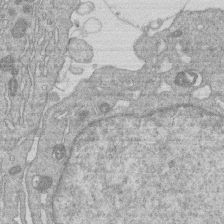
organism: Human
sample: Macrophage cells